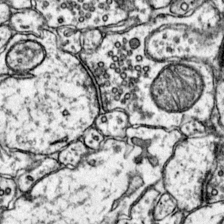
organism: Mouse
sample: Primary visual cortex